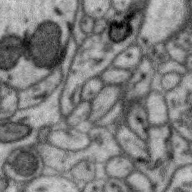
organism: Zebra finch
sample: Brain